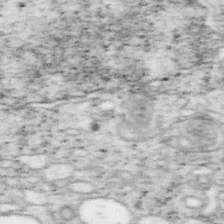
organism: Mouse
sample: OT-I killer T cells with ID8 ovarian cancer cells